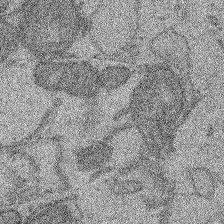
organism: Human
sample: HeLa cells